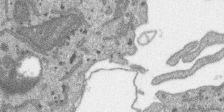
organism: Human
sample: Lung epithelial cells infected with SARS-CoV-2